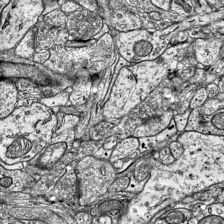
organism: Mouse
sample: Visual Cortex